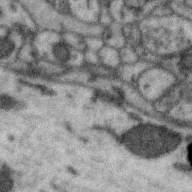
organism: Zebra finch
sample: Brain